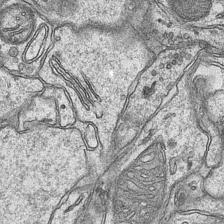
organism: Mouse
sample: CA1 Hippocampus